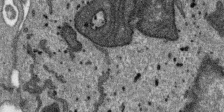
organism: Human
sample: Lung epithelial cells, uninfected (mock) control